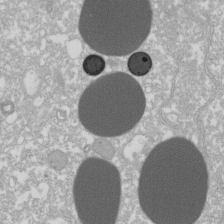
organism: Xenopus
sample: Cilia; centrioles in frog embryo cells